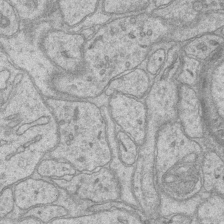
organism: Mouse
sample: CA1 Hippocampus